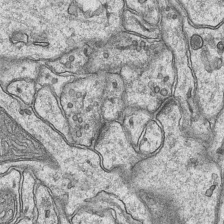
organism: Mouse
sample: CA1 Hippocampus